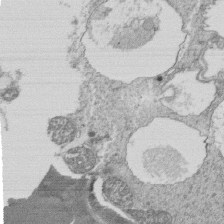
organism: Tetrahymena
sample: Cilia in tetrahymena